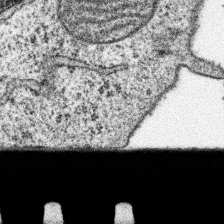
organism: Human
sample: HeLa cells